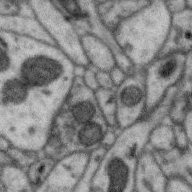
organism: Zebra finch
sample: Brain